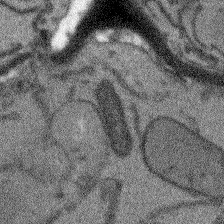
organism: Arabidopsis thaliana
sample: Root tip